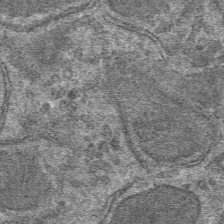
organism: Mouse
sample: Mouse hepatocytes